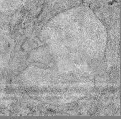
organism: Mouse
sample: Corneal nerves